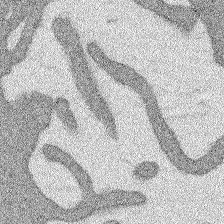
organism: Human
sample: HeLa cells